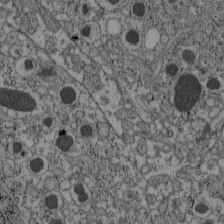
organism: C57BL Mouse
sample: Pancreatic islet